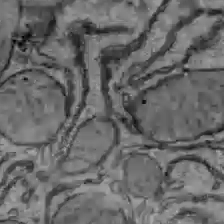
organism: C57BL Mouse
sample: Liver